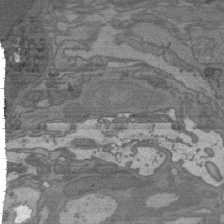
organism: C. elegans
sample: AFD neurons C. elegans